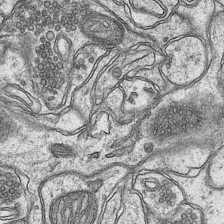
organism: Mouse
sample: CA1 Hippocampus